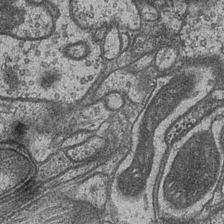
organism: Drosophila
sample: Optic medulla